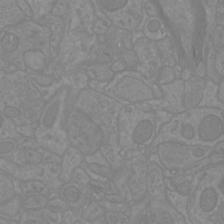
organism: Mouse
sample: Cortical neurons